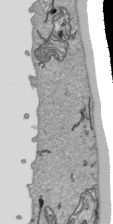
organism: Human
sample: Mitochondria in HCT116 cells